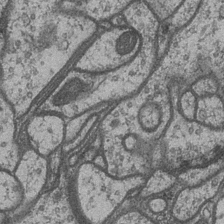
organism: Drosophila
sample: Optic medulla